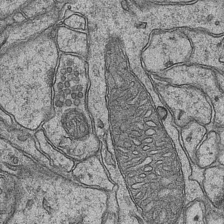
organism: Mouse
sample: CA1 Hippocampus